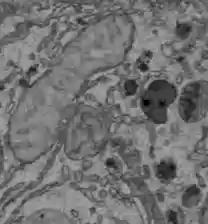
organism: C57BL Mouse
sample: Liver